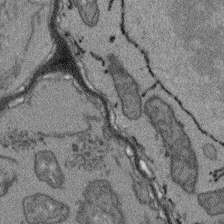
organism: Arabidopsis thaliana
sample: Root tip